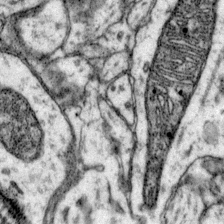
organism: Mouse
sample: Primary visual cortex